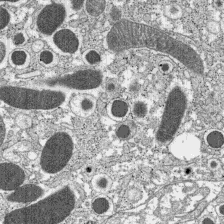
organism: C57BL Mouse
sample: Pancreatic islet